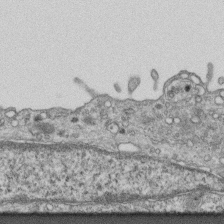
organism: Mouse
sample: Centriole in ependymal cells